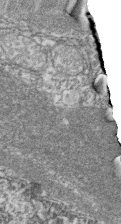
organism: Zebrafish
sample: Cilia; retinal pigment epithelium